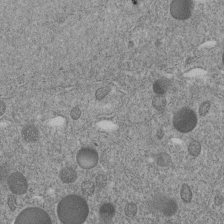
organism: C. elegans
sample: C. elegans embryo early stage